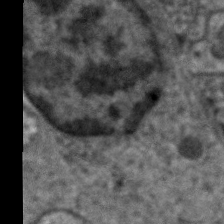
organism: C. elegans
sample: Pharynx